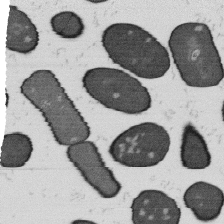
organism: B. subtilis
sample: Bacterial spore